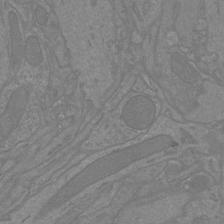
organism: Mouse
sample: Cortical neurons